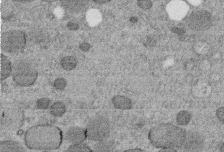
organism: C. elegans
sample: C. elegans embryo early stage